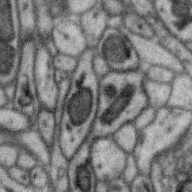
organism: Zebra finch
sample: Brain